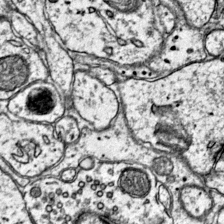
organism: Mouse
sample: Primary visual cortex